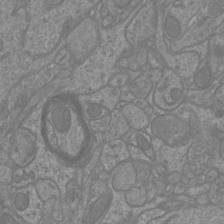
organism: Mouse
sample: Cortical neurons